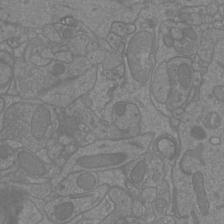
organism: Mouse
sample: Cortical neurons